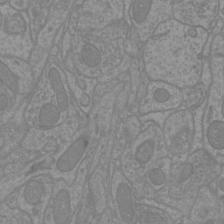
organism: Mouse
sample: Cortical neurons